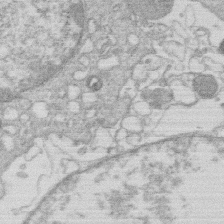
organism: Human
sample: Macrophage cells